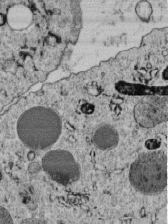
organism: C. elegans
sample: C. elegans embryo early stage